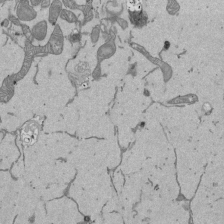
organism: Mouse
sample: ED-1 cell nuclei; centrioles